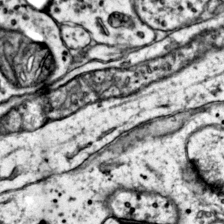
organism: Mouse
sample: Primary visual cortex